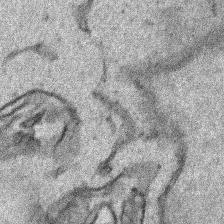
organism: Human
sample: Mitochondria in HCT116 cells